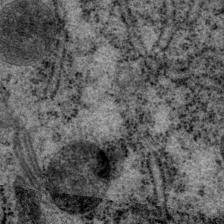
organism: P. pacificus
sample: Pharynx